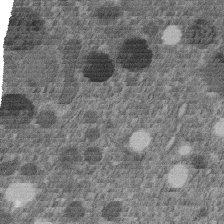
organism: C. elegans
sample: C. elegans embryo early stage